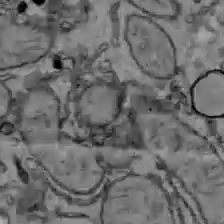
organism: C57BL Mouse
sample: Liver